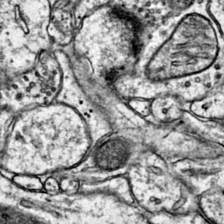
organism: Mouse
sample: Primary visual cortex